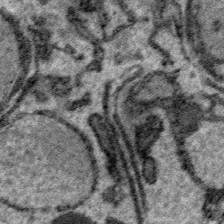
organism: Plasmodium falciparum